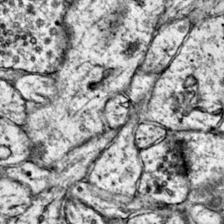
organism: Mouse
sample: Primary visual cortex